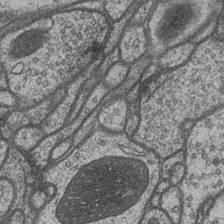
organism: Drosophila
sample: Optic medulla